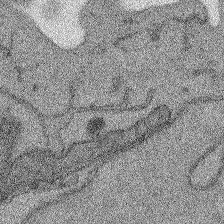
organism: Human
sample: HeLa cells